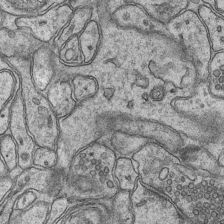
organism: Mouse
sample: CA1 Hippocampus